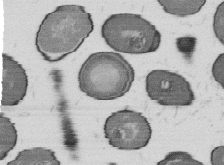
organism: B. subtilis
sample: Bacterial spore